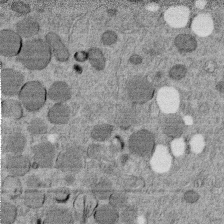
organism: C. elegans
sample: C. elegans embryo early stage